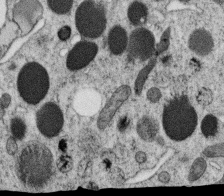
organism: C. elegans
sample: C. elegans oocyte; sperm cells